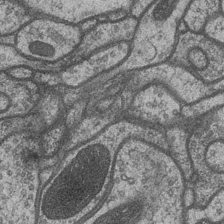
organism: Drosophila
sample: Optic medulla